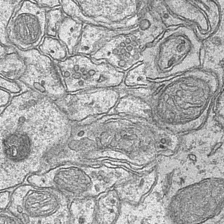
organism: Mouse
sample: CA1 Hippocampus